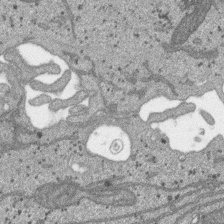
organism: Human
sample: Lung epithelial cells infected with SARS-CoV-2